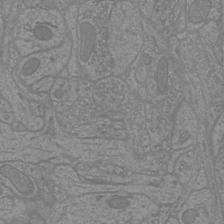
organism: Mouse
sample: Cortical neurons